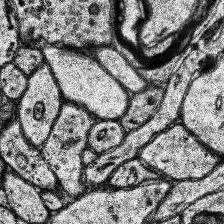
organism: Human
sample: Temporal Lobe